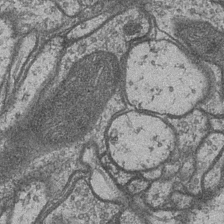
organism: Drosophila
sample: Optic medulla